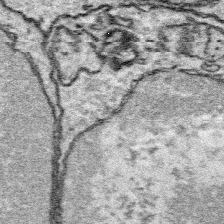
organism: Platynereis dumerilii